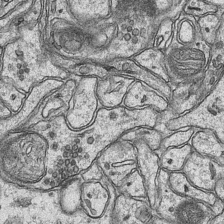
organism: Mouse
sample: CA1 Hippocampus